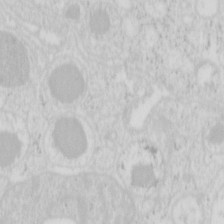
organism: Mouse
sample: Pancreas